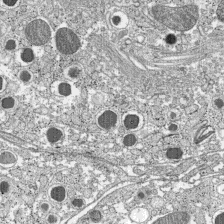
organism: C57BL Mouse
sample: Pancreatic islet